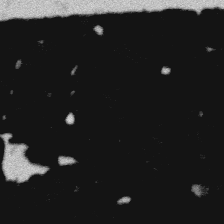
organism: Platynereis dumerilii